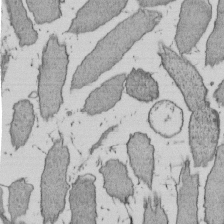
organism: E. coli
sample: Bacterial nucleoid